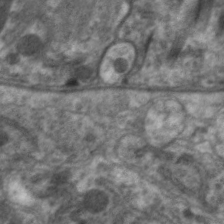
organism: C. elegans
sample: Pharynx